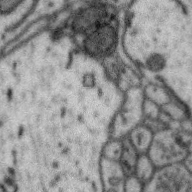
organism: Zebra finch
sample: Brain